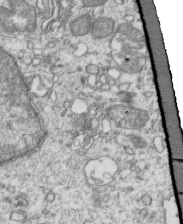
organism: Mouse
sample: Activated OT-1 CD8+ T cells